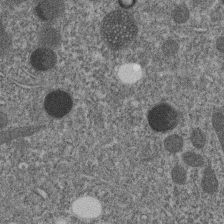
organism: C. elegans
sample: C. elegans embryo early stage